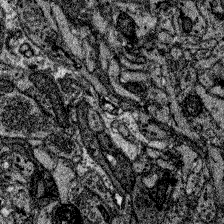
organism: Zebrafish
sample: Larval olfactory bulb